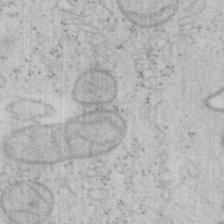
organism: Human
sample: HeLa cells